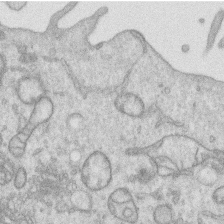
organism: Human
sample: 1205lu cells